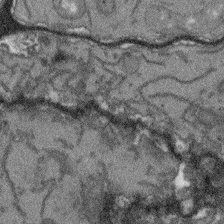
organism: Arabidopsis thaliana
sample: Root tip